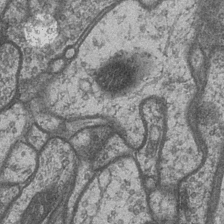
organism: Drosophila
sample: Optic medulla